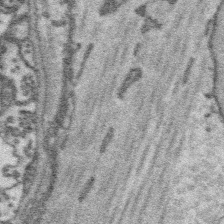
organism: Platynereis dumerilii